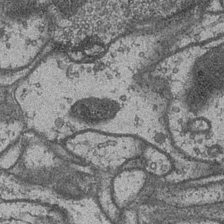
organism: Drosophila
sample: Optic medulla